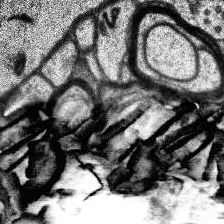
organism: Human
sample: Temporal Lobe